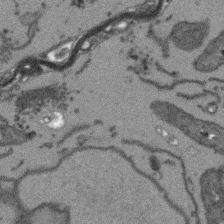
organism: Arabidopsis thaliana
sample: Root tip